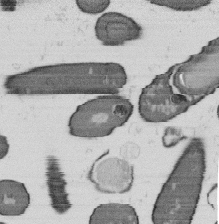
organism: B. subtilis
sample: Bacterial spore